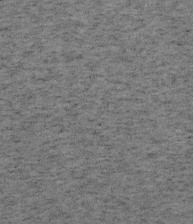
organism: Mouse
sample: OT-I killer T cells with ID8 ovarian cancer cells